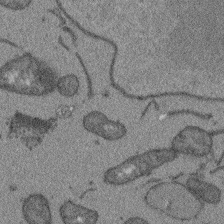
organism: Arabidopsis thaliana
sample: Root tip